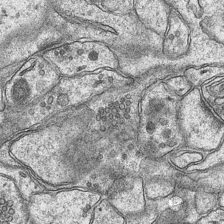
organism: Mouse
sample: CA1 Hippocampus